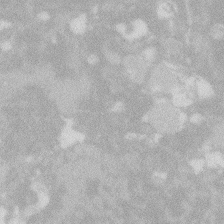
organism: Zebrafish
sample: Macrophage